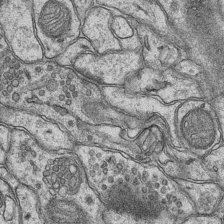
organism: Mouse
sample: CA1 Hippocampus